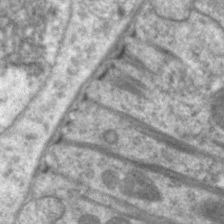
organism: C. elegans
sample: Pharynx